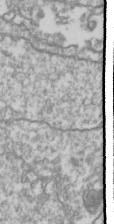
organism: Drosophila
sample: Cell division; meiosis; drosophila spermatocytes